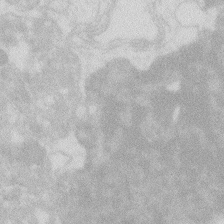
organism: Zebrafish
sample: Macrophage